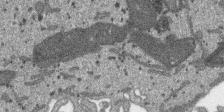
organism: Human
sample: Lung epithelial cells infected with SARS-CoV-2